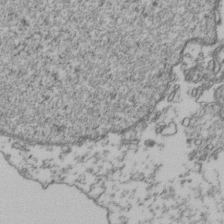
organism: Human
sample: Activated Jurkat CD4+ T cells